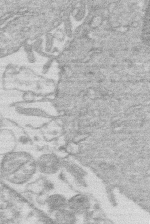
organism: Human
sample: Macrophage cells